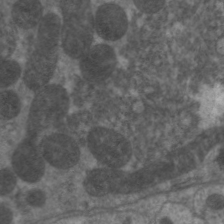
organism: C. elegans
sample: Pharynx